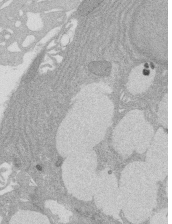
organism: Rat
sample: Salivary granule